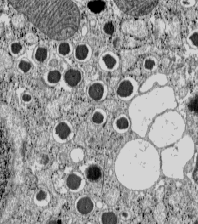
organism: C57BL Mouse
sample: Pancreatic islet